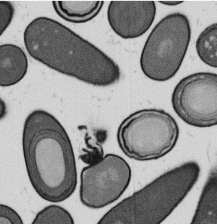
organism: B. subtilis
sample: Bacterial spore